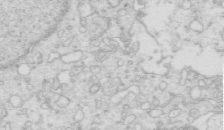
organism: Mouse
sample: Multiciliated cells